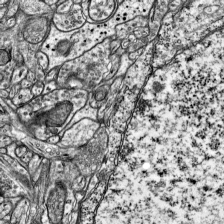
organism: Mouse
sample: Visual Cortex